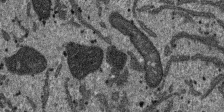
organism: Human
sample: Lung epithelial cells infected with SARS-CoV-2